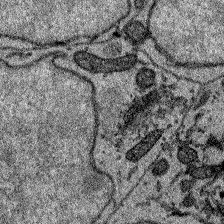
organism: Zebrafish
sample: Larval olfactory bulb